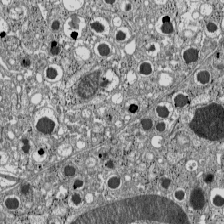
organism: C57BL Mouse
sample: Pancreatic islet